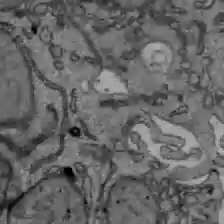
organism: C57BL Mouse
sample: Liver